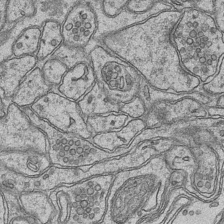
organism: Mouse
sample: CA1 Hippocampus